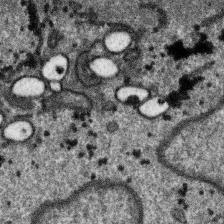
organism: Human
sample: Lung epithelial cells infected with SARS-CoV-2